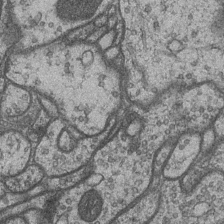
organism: Drosophila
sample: Optic medulla